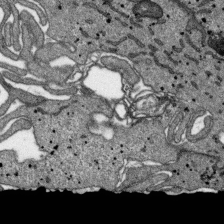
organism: Human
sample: Lung epithelial cells, uninfected (mock) control